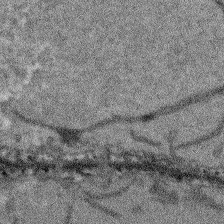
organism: Arabidopsis thaliana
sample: Root tip